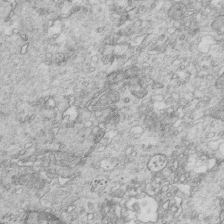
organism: Mouse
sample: Multiciliated cells